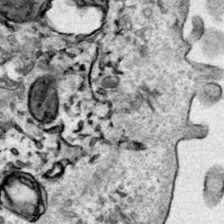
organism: Human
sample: Mitochondria in HCT116 cells